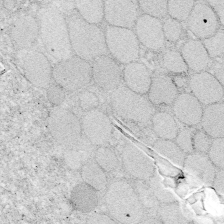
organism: Zebrafish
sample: Whole-Brain